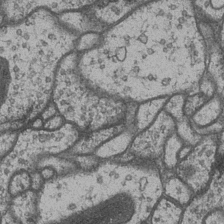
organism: Drosophila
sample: Optic medulla